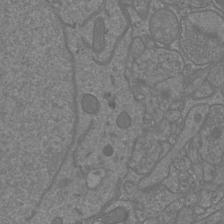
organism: Mouse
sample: Cortical neurons